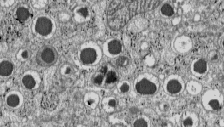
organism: C57BL Mouse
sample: Pancreatic islet